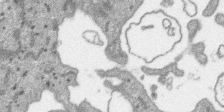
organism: Human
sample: Lung epithelial cells infected with SARS-CoV-2